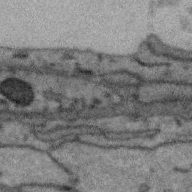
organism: Zebra finch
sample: Brain